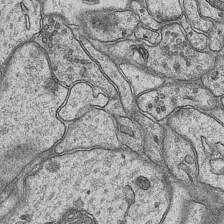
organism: Mouse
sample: CA1 Hippocampus